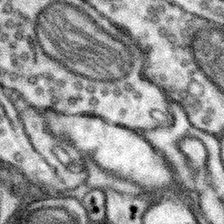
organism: Mouse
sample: Somatosensory cortex neuropil